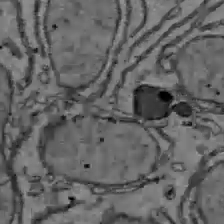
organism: C57BL Mouse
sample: Liver